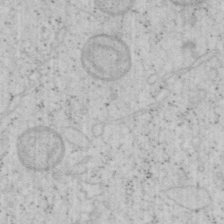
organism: Human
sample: HeLa cells